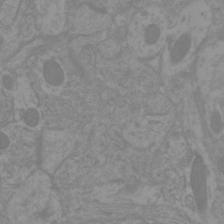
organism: Mouse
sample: Cortical neurons